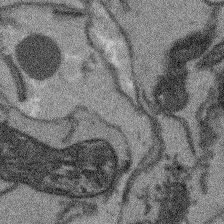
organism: Arabidopsis thaliana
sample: Root tip